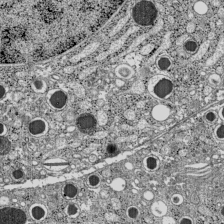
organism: C57BL Mouse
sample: Pancreatic islet